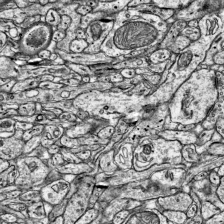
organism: Mouse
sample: Visual Cortex